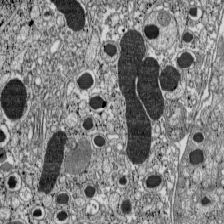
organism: C57BL Mouse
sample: Pancreatic islet